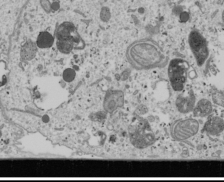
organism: Human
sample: Mitochondria in U2OS cells